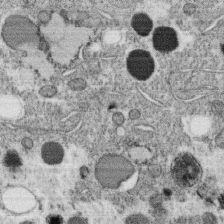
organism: C. elegans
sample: C. elegans oocyte; sperm cells